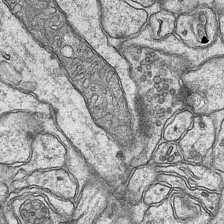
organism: Mouse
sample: CA1 Hippocampus